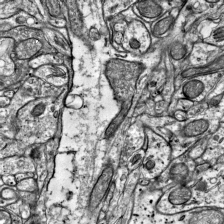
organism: Mouse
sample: Visual Cortex